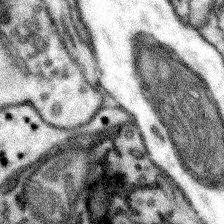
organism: Mouse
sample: Somatosensory cortex neuropil